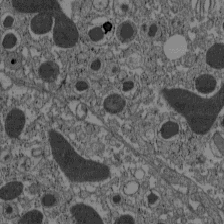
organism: C57BL Mouse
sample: Pancreatic islet